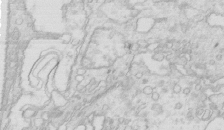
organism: Mouse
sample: Multiciliated cells